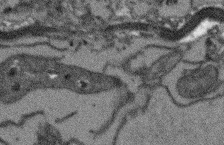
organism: Arabidopsis thaliana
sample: Root tip